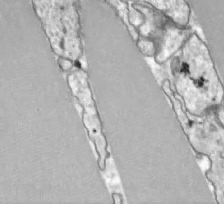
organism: Zebrafish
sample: Actinotrichia fibers